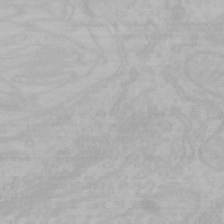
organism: Mouse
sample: Choroid plexus